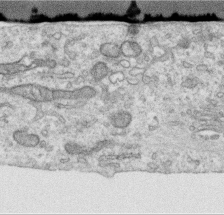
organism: Human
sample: Centriole in RPE cells